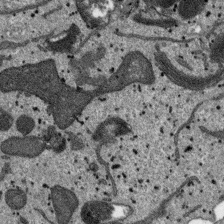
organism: Human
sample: Lung epithelial cells, uninfected (mock) control